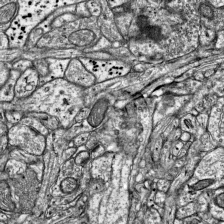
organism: Mouse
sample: Visual Cortex